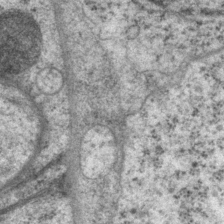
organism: P. pacificus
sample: Pharynx